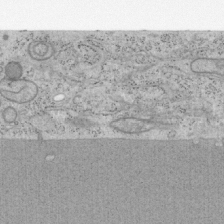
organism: Human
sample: HeLa cells